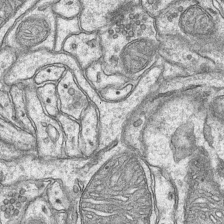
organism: Mouse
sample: CA1 Hippocampus